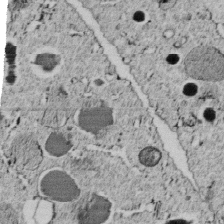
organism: C. elegans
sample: C. elegans embryo early stage